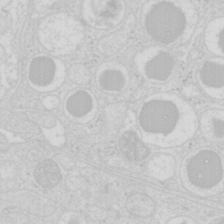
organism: Mouse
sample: Pancreas